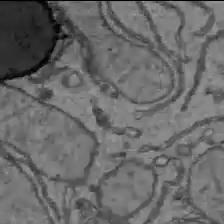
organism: C57BL Mouse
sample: Liver